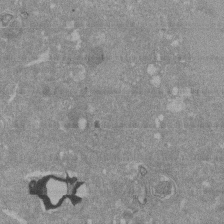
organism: Mouse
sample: ED-1 cell nuclei; centrioles